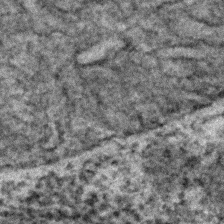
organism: C. elegans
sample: C. elegans embryo